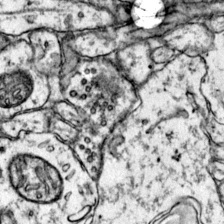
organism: Mouse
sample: Primary visual cortex